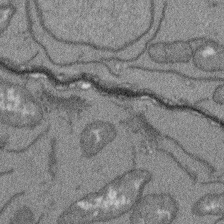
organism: Arabidopsis thaliana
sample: Root tip